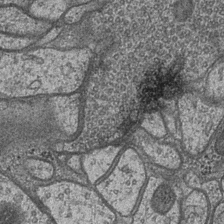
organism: Drosophila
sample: Optic medulla